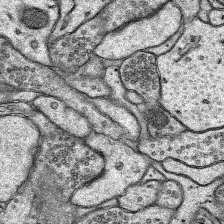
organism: Rat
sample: Hippocampus